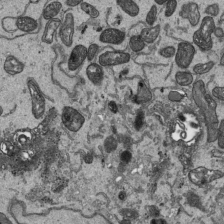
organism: Human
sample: Mitochondria in HCT116 cells